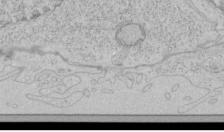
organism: Human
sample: Mitochondria in HCT116 cells